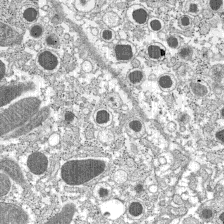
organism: C57BL Mouse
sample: Pancreatic islet